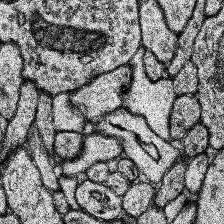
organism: Human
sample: Temporal Lobe